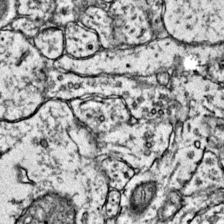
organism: Mouse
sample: Primary visual cortex